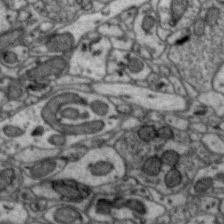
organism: Zebra finch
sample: Brain